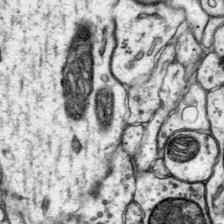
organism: Mouse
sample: Primary visual cortex